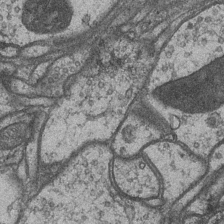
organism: Drosophila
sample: Optic medulla